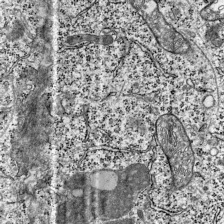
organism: Mouse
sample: Visual Cortex